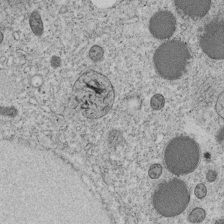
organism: C. elegans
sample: C. elegans embryo early stage